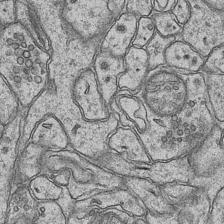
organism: Mouse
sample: CA1 Hippocampus